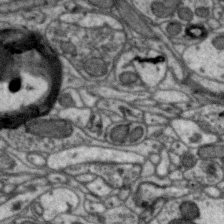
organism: Zebra finch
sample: Brain